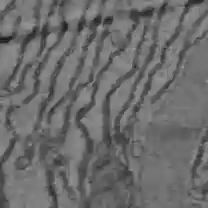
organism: C57BL Mouse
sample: Liver